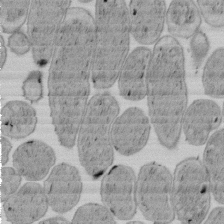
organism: E. coli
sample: Bacterial nucleoid